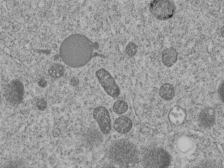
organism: C. elegans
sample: C. elegans embryo early stage